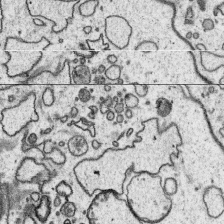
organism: Platynereis dumerilii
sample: Parapodia